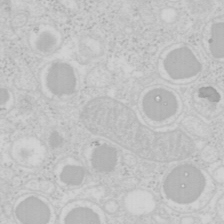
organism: Mouse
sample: Pancreas